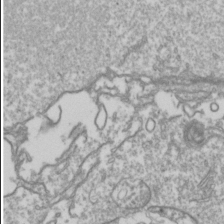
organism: Drosophila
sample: Cell division; meiosis; drosophila spermatocytes